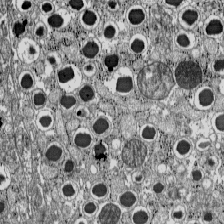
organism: C57BL Mouse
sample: Pancreatic islet